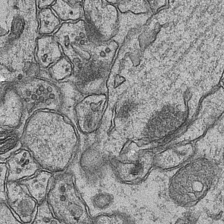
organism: Mouse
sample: CA1 Hippocampus